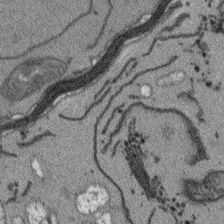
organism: Arabidopsis thaliana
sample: Root tip